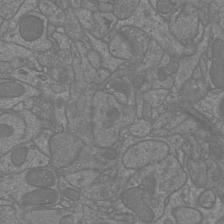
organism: Mouse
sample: Cortical neurons